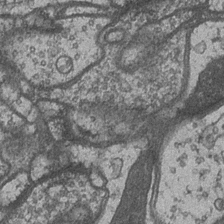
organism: Drosophila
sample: Optic medulla